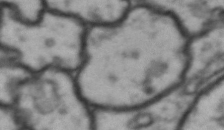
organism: Drosophila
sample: Brain